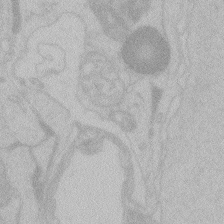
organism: Zebrafish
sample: Macrophage infected with Toxoplasma gondii